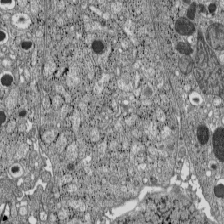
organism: C57BL Mouse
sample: Pancreatic islet